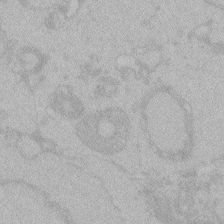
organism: Zebrafish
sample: Macrophage infected with Toxoplasma gondii